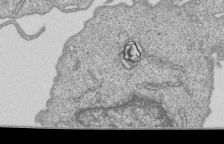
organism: Human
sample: MDA-MB-231 cells